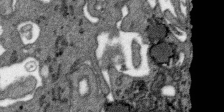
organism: Human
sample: Lung epithelial cells, uninfected (mock) control